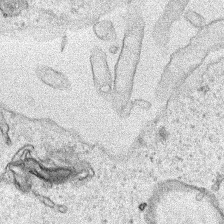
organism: Human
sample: Mitochondria in HCT116 cells